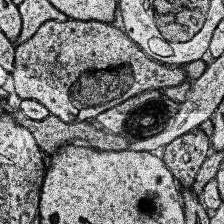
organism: Human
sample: Temporal Lobe